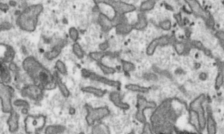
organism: Toxoplasma gondii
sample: Parasites in a vacuole inside a host cell